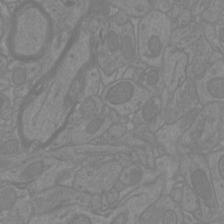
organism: Mouse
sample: Cortical neurons